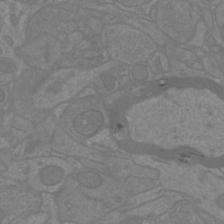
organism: Mouse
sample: Cortical neurons